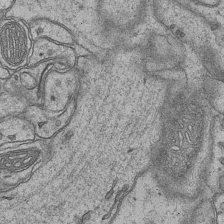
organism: Mouse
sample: CA1 Hippocampus